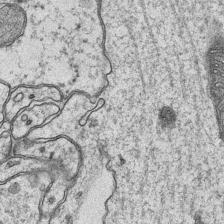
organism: Mouse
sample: CA1 Hippocampus